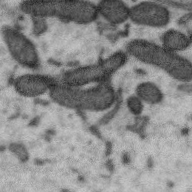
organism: Zebra finch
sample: Brain